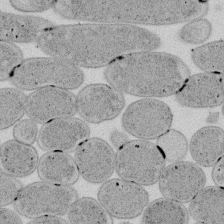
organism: E. coli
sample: Bacterial nucleoid